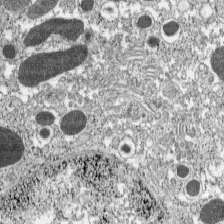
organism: C57BL Mouse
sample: Pancreatic islet